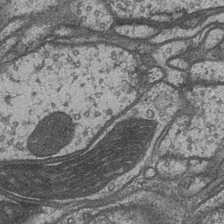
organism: Drosophila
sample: Optic medulla